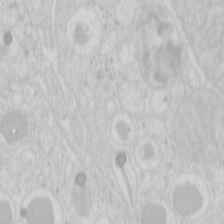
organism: Mouse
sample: Pancreas